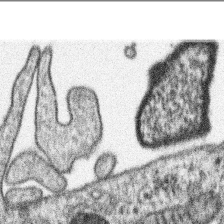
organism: Human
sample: HeLa cells